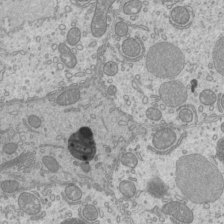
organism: Mouse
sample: Cilia; mouse epididymis